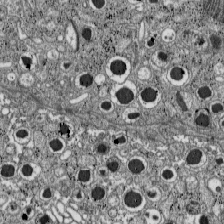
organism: C57BL Mouse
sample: Pancreatic islet